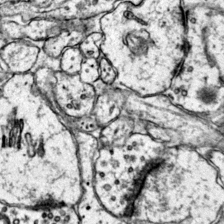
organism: Mouse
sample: Primary visual cortex